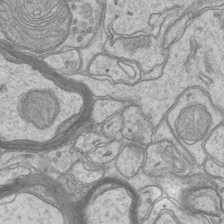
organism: Mouse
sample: CA1 Hippocampus